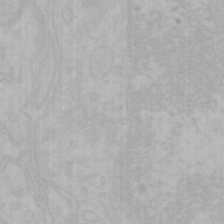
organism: Mouse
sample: Choroid plexus